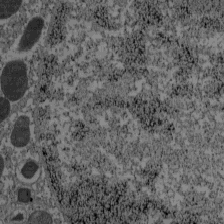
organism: C57BL Mouse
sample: Pancreatic islet